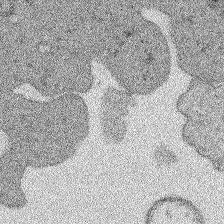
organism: Human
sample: HeLa cells